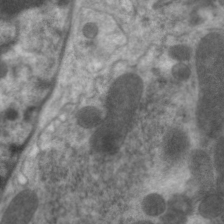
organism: C. elegans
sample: Pharynx